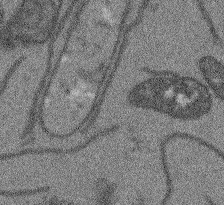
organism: Arabidopsis thaliana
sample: Root tip